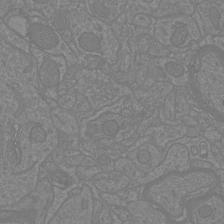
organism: Mouse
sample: Cortical neurons